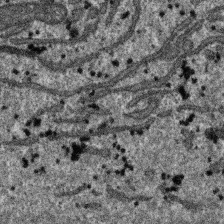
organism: Human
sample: Lung epithelial cells infected with SARS-CoV-2